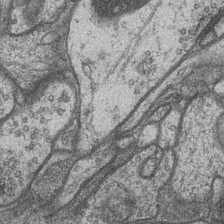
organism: Drosophila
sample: Optic medulla